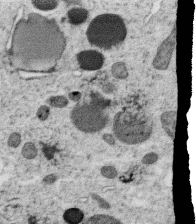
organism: C. elegans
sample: C. elegans oocyte; sperm cells